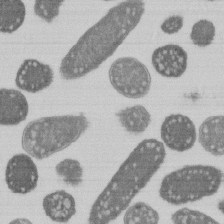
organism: E. coli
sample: Bacterial nucleoid